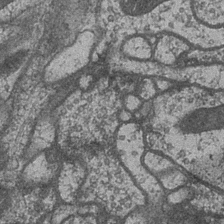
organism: Drosophila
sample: Optic medulla